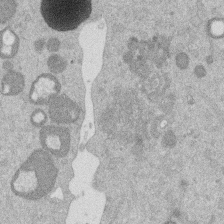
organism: Mouse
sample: Dividing mouse embryo 1 cell stage